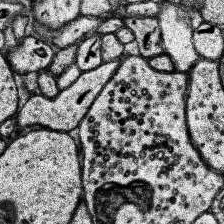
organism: Human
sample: Temporal Lobe